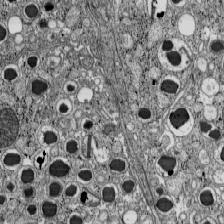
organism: C57BL Mouse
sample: Pancreatic islet